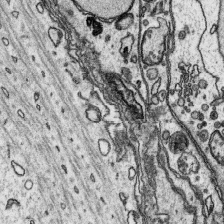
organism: Platynereis dumerilii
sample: Parapodia